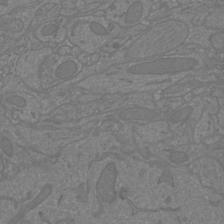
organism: Mouse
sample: Cortical neurons